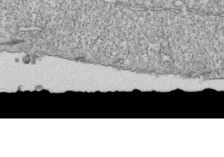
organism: Human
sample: HeLa cell HIV synapse